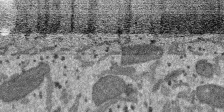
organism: Human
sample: Lung epithelial cells infected with SARS-CoV-2